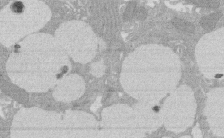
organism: Rat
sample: Salivary granule